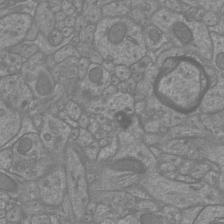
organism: Mouse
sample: Cortical neurons